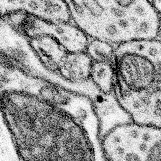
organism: Mouse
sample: Somatosensory cortex neuropil